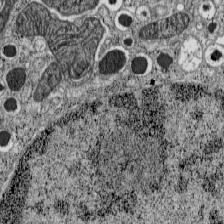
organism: C57BL Mouse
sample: Pancreatic islet